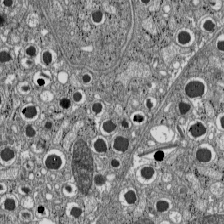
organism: C57BL Mouse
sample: Pancreatic islet